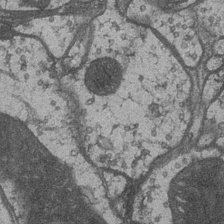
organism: Drosophila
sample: Optic medulla